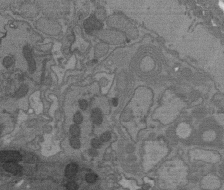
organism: C. elegans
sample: AFD neurons C. elegans